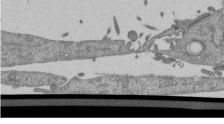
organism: Mouse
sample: ED-1 cell nuclei; centrioles